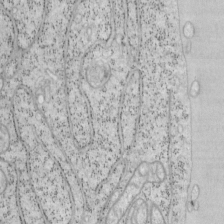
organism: Mouse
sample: OT-I killer T cells with ID8 ovarian cancer cells